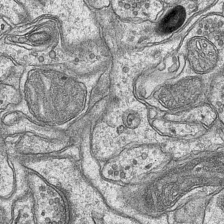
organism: Mouse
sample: CA1 Hippocampus